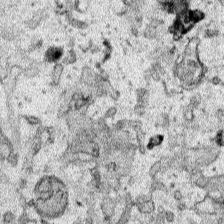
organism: Human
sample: Mitochondria in HCT116 cells